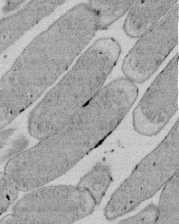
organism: E. coli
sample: Bacterial nucleoid